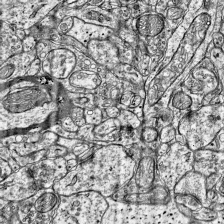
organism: Mouse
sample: Visual Cortex